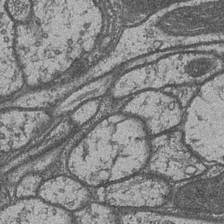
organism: Drosophila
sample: Optic medulla